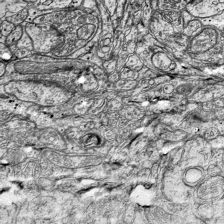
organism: Mouse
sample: Visual Cortex